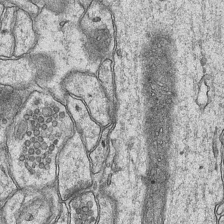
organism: Mouse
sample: CA1 Hippocampus